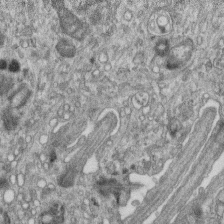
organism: Mouse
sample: Centriole in ependymal cells